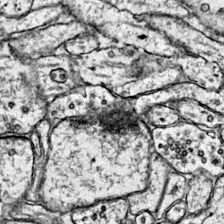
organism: Mouse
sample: Primary visual cortex